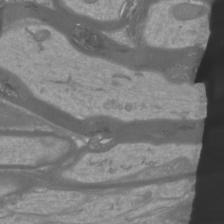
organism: Mouse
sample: Cortical neurons